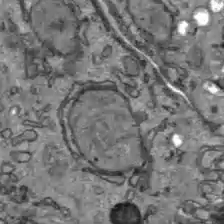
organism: C57BL Mouse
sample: Liver